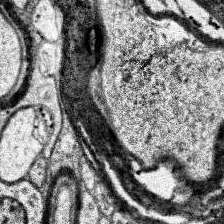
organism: Human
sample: Temporal Lobe